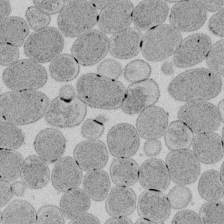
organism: E. coli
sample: Bacterial nucleoid